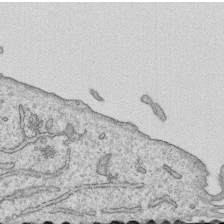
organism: Human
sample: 1205lu cells